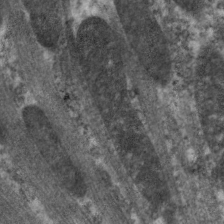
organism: C. elegans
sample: Pharynx